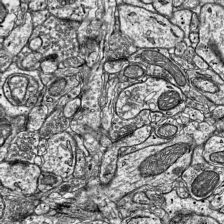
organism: Mouse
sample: Visual Cortex